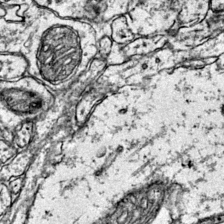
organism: Mouse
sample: Primary visual cortex